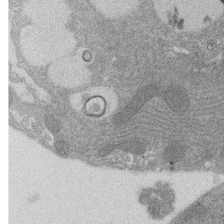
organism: Rat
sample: Salivary granule